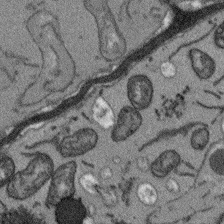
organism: Arabidopsis thaliana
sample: Root tip